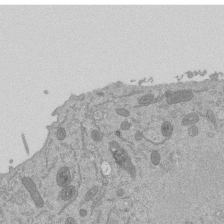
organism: Mouse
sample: ED-1 cell nuclei; centrioles